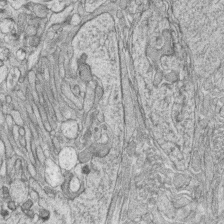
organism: Zebrafish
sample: synaptic ribbons in rod cells and cone cells